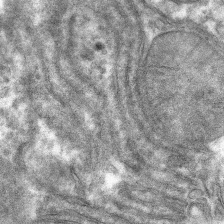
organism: Mouse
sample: Mouse hepatocytes